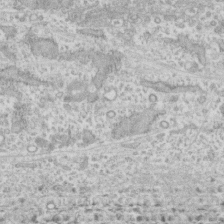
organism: Human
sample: CRL-1474